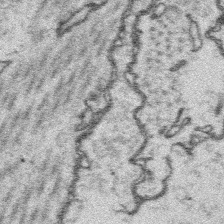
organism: Platynereis dumerilii